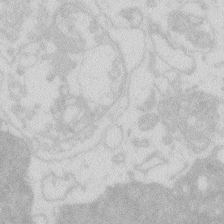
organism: Zebrafish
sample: Macrophage